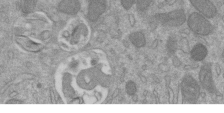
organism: Mouse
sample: ED-1 cell nuclei; centrioles